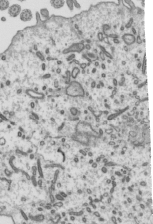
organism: Mouse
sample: Mouse epididymis efferent ductule cilia